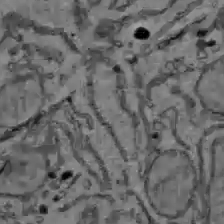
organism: C57BL Mouse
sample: Liver